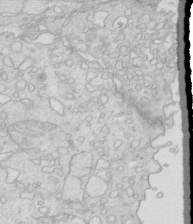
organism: Mouse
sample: Multiciliated cells